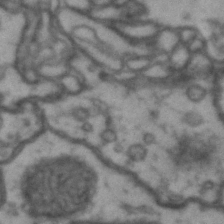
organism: Drosophila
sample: Brain